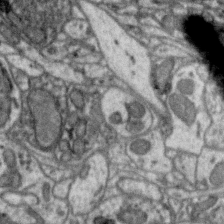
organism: Zebra finch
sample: Brain